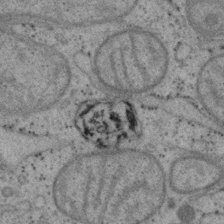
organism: Human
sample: HeLa cells